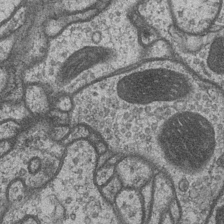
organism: Drosophila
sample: Optic medulla